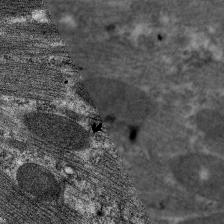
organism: C. elegans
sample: Pharynx